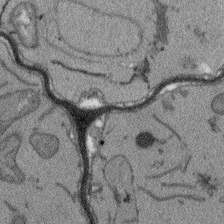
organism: Arabidopsis thaliana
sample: Root tip